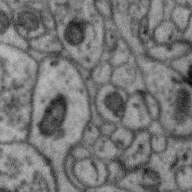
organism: Zebra finch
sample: Brain